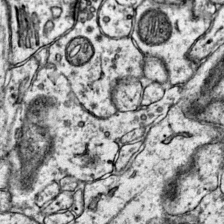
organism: Mouse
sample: Primary visual cortex